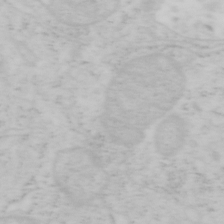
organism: Mouse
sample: OT-I killer T cells with ID8 ovarian cancer cells